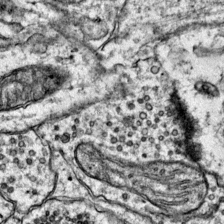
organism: Mouse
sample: Primary visual cortex